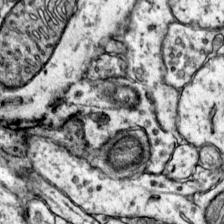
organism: Mouse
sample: Primary visual cortex